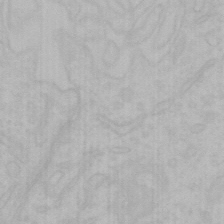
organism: Mouse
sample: Choroid plexus